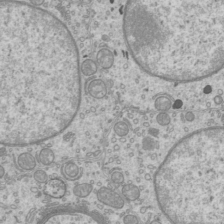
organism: Mouse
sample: Cilia; mouse epididymis